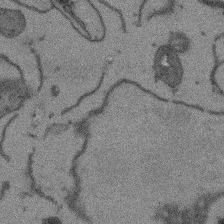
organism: Arabidopsis thaliana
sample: Root tip